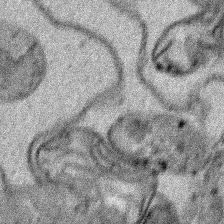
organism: Human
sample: Mitochondria in HCT116 cells